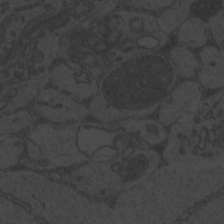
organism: Zebrafish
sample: Macrophage infected with Toxoplasma gondii